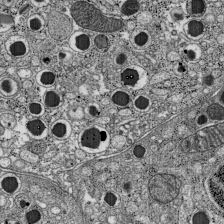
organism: C57BL Mouse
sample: Pancreatic islet